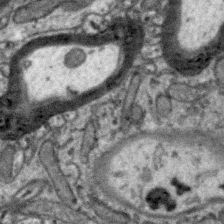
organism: Zebra finch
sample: Brain